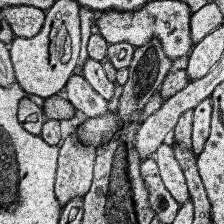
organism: Human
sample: Temporal Lobe